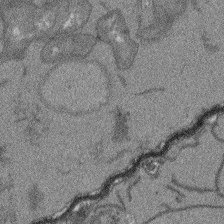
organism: Arabidopsis thaliana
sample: Root tip